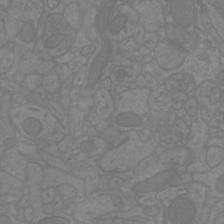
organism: Mouse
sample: Cortical neurons